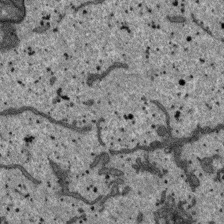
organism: Human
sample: Lung epithelial cells, uninfected (mock) control